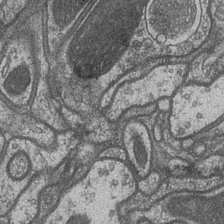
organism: Drosophila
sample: Optic medulla